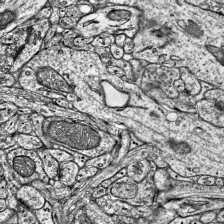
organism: Mouse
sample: Visual Cortex